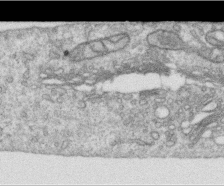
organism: Human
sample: Centriole in RPE cells